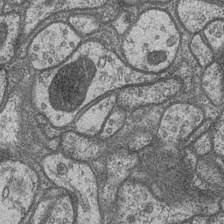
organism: Drosophila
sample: Optic medulla